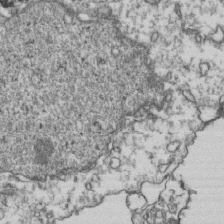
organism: Human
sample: Activated Jurkat CD4+ T cells